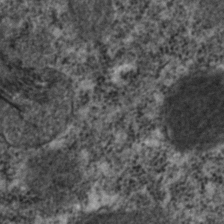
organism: C. elegans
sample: C. elegans embryo